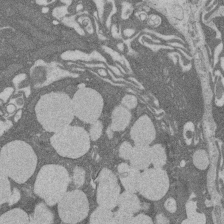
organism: Rat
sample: Salivary granule